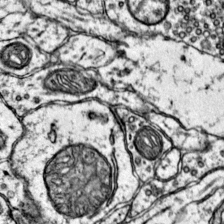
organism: Mouse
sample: Primary visual cortex